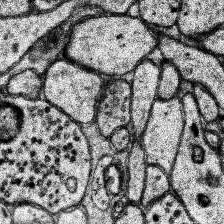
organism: Human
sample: Temporal Lobe